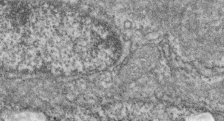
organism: Zebrafish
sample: Cilia; retinal pigment epithelium